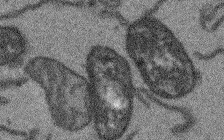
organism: Arabidopsis thaliana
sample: Root tip